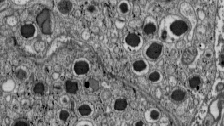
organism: C57BL Mouse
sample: Pancreatic islet